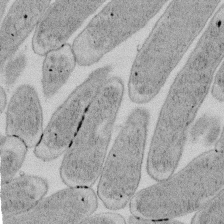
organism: E. coli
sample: Bacterial nucleoid